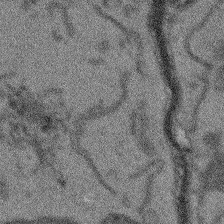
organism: Arabidopsis thaliana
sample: Root tip